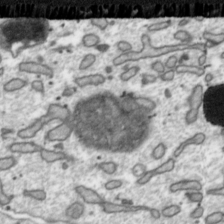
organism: Toxoplasma gondii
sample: Parasites in a vacuole inside a host cell